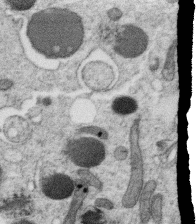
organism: C. elegans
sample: C. elegans oocyte; sperm cells